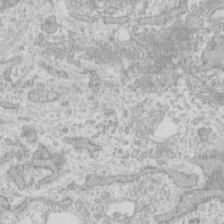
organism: Human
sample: Fibroblast cells